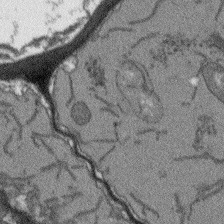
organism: Arabidopsis thaliana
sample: Root tip